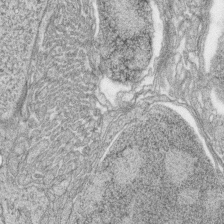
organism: Zebrafish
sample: synaptic ribbons in rod cells and cone cells